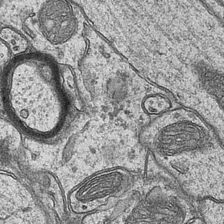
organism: Mouse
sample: CA1 Hippocampus